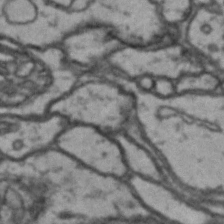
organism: Drosophila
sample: Brain